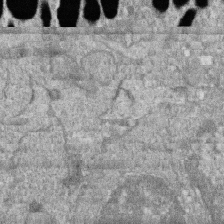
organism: Zebrafish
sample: Cilia; retinal pigment epithelium